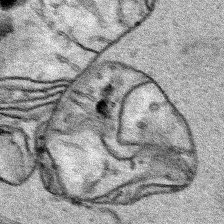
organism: Human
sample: Mitochondria in HCT116 cells